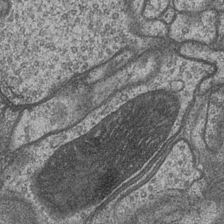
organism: Drosophila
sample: Optic medulla